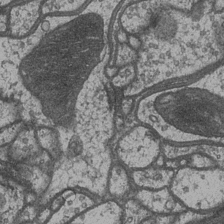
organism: Drosophila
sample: Optic medulla